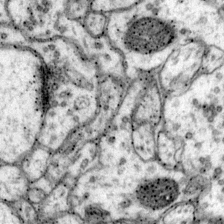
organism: Mouse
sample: Primary visual cortex